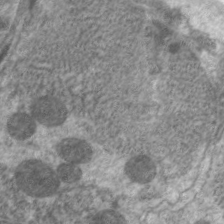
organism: C. elegans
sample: Pharynx